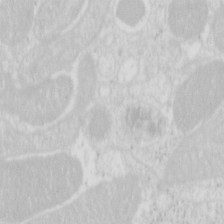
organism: Mouse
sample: Pancreas